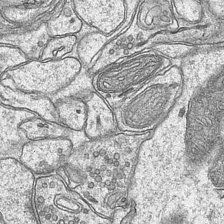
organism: Mouse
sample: CA1 Hippocampus